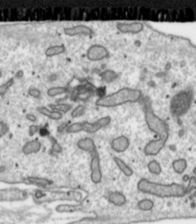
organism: Toxoplasma gondii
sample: Parasites in a vacuole inside a host cell